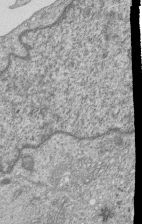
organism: Human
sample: MDA-MB-231 cells